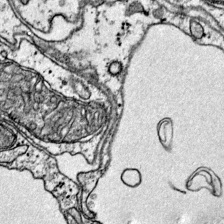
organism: Mouse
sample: Primary visual cortex